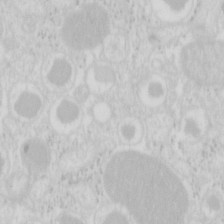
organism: Mouse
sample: Pancreas